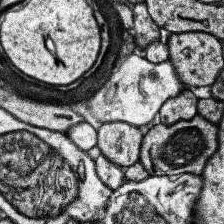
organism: Human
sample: Temporal Lobe